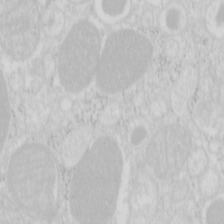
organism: Mouse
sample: Pancreas